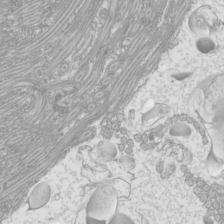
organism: Mouse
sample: Cilia; mouse epididymis